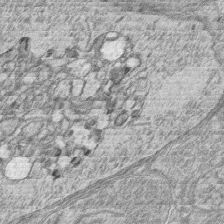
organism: Zebrafish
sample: synaptic ribbons in rod cells and cone cells